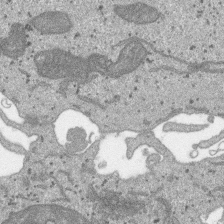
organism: Human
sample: Lung epithelial cells infected with SARS-CoV-2